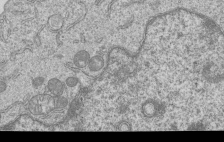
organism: Human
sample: MDA-MB-231 cells